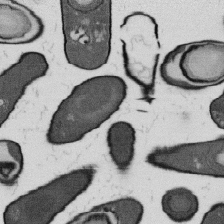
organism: B. subtilis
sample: Bacterial spore